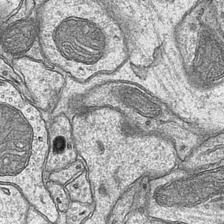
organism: Mouse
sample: CA1 Hippocampus